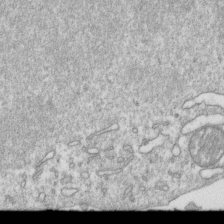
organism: Mouse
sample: Activated OT-1 CD8+ T cells